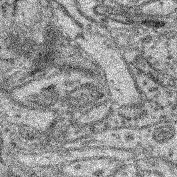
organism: Mouse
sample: Retina